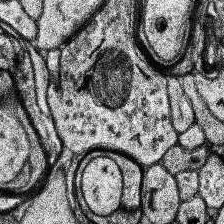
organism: Human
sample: Temporal Lobe